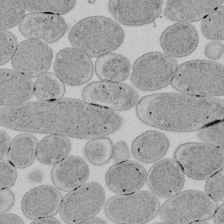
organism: E. coli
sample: Bacterial nucleoid